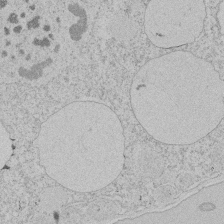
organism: Tetrahymena